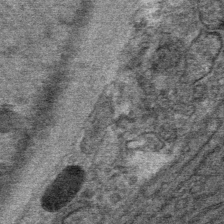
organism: Mouse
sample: Mouse Salivary gland